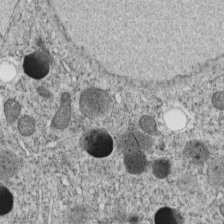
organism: C. elegans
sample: C. elegans embryo early stage